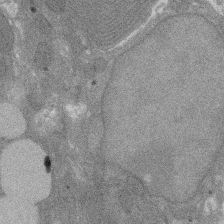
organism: Rat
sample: Salivary granule